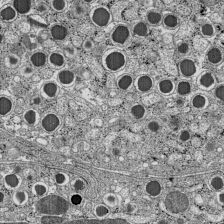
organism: C57BL Mouse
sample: Pancreatic islet